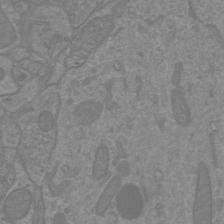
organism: Mouse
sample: Cortical neurons